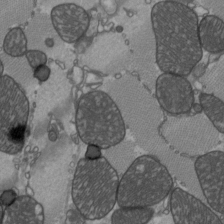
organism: C57BL Mouse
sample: Heart